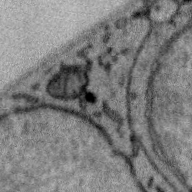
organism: Zebra finch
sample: Brain